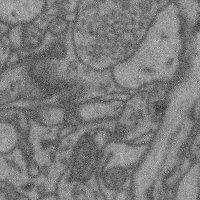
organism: Mouse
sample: Cerebral cortex